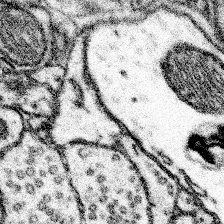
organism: Mouse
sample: Somatosensory cortex neuropil